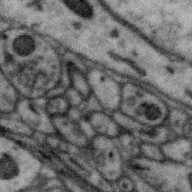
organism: Zebra finch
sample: Brain